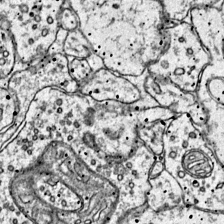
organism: Mouse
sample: Primary visual cortex